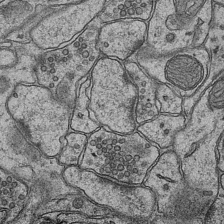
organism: Mouse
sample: CA1 Hippocampus